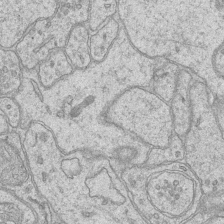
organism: Mouse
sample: CA1 Hippocampus